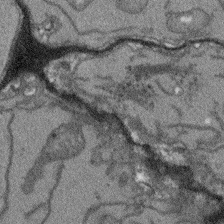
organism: Arabidopsis thaliana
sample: Root tip